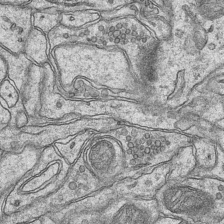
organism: Mouse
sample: CA1 Hippocampus